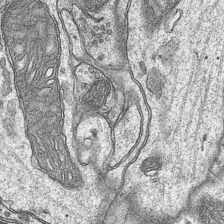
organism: Mouse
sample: CA1 Hippocampus